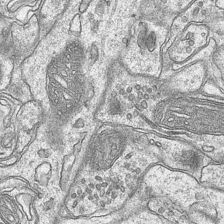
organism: Mouse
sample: CA1 Hippocampus